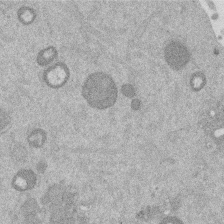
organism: Mouse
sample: Dividing mouse embryo 1 cell stage